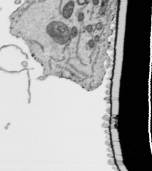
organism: Human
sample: Mitochondria in HCT116 cells